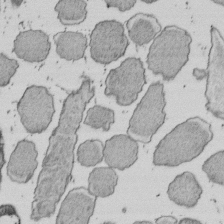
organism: E. coli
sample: Bacterial nucleoid